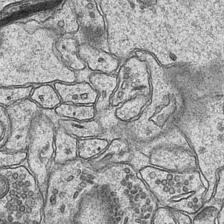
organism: Mouse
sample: CA1 Hippocampus